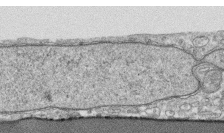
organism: Human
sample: CRL-1474